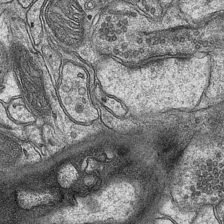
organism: Mouse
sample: CA1 Hippocampus